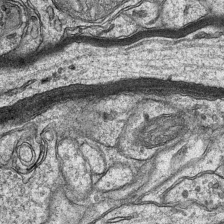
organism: Mouse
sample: CA1 Hippocampus